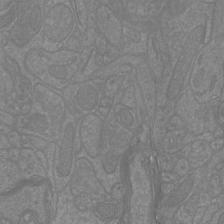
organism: Mouse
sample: Cortical neurons